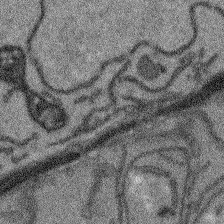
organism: Arabidopsis thaliana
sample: Root tip